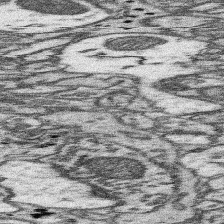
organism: Mouse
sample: Somatosensory cortex neuropil